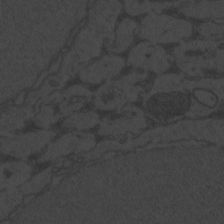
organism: Zebrafish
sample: Macrophage infected with Toxoplasma gondii